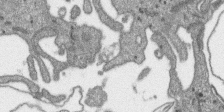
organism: Human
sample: Lung epithelial cells infected with SARS-CoV-2